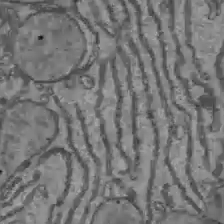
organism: C57BL Mouse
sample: Liver